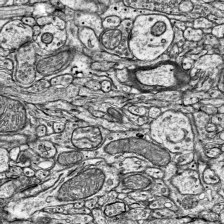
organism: Mouse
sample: Visual Cortex